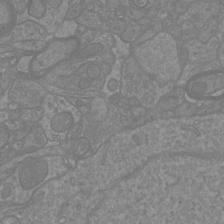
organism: Mouse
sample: Cortical neurons